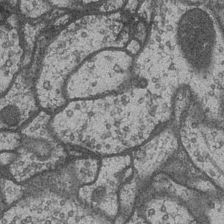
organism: Drosophila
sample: Optic medulla